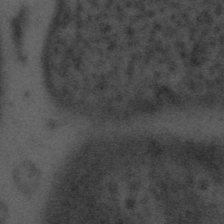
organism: Tuwongella immobilis